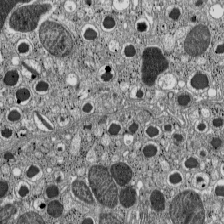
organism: C57BL Mouse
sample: Pancreatic islet